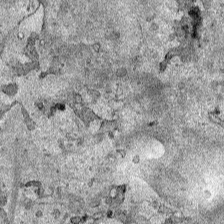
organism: Human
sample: Mitochondria in HCT116 cells